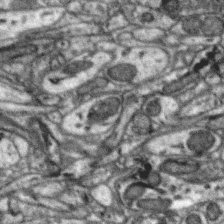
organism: Zebra finch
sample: Brain